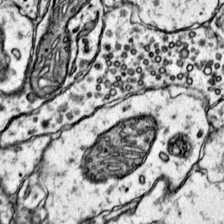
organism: Mouse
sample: Primary visual cortex